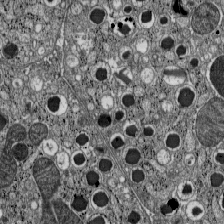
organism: C57BL Mouse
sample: Pancreatic islet